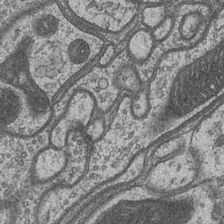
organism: Drosophila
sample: Optic medulla